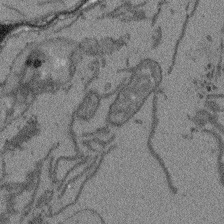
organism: Arabidopsis thaliana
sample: Root tip